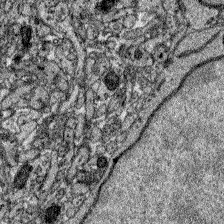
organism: Zebrafish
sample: Larval olfactory bulb